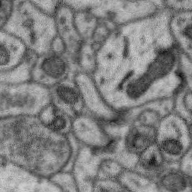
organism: Zebra finch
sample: Brain